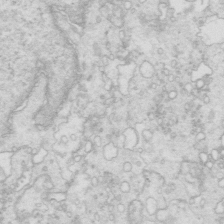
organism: Mouse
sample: Multiciliated cells